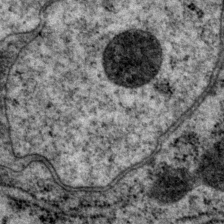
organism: P. pacificus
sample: Pharynx